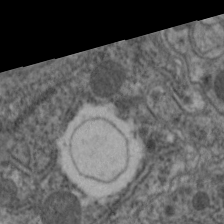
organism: C. elegans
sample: Pharynx